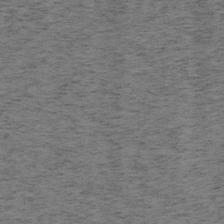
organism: Mouse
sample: OT-I killer T cells with ID8 ovarian cancer cells